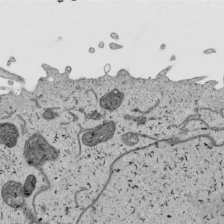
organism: Human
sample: Mitochondria in HCT116 cells